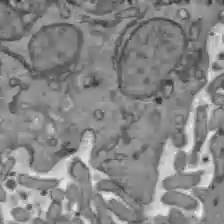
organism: C57BL Mouse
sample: Liver